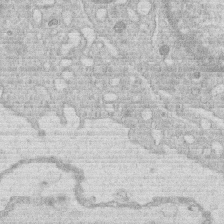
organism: Human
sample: Macrophage cells